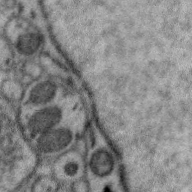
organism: Zebra finch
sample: Brain